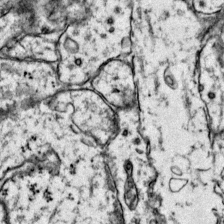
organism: Mouse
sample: Primary visual cortex